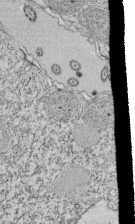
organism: Tetrahymena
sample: Cilia in tetrahymena